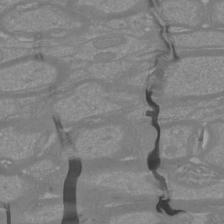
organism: Mouse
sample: Cortical neurons